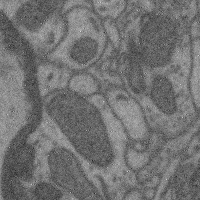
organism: Mouse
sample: Cerebral cortex